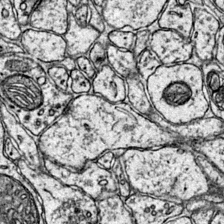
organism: Mouse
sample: Primary visual cortex